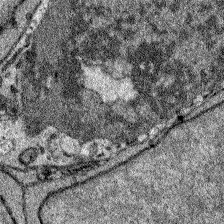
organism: Zebrafish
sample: Larval olfactory bulb